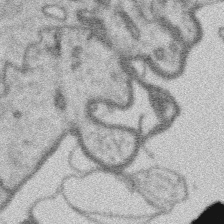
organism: Platynereis dumerilii